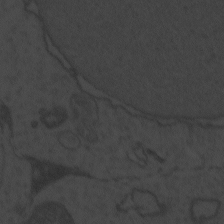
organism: Zebrafish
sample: Macrophage infected with Toxoplasma gondii